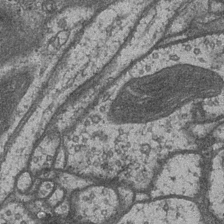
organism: Drosophila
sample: Optic medulla